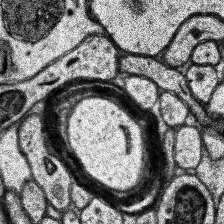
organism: Human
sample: Temporal Lobe